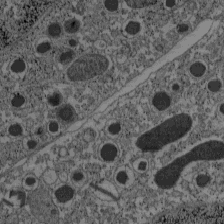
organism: C57BL Mouse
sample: Pancreatic islet